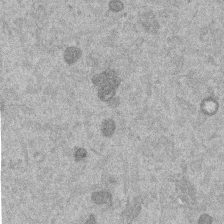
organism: Mouse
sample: Dividing mouse embryo 1 cell stage